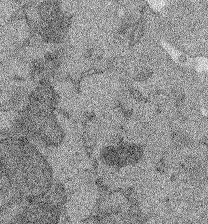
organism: Human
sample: HeLa cells